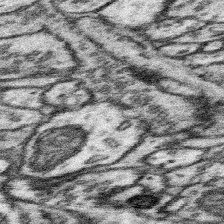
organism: Mouse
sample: Somatosensory cortex neuropil